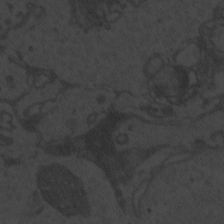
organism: Zebrafish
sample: Macrophage infected with Toxoplasma gondii